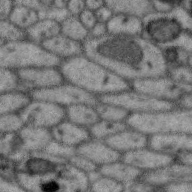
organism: Zebra finch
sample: Brain